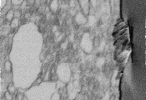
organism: Human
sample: Centriole in fibroblast cells